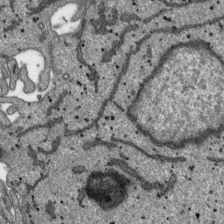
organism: Human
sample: Lung epithelial cells, uninfected (mock) control